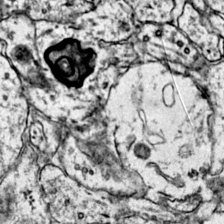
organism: Mouse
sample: Primary visual cortex